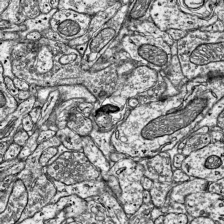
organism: Mouse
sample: Visual Cortex